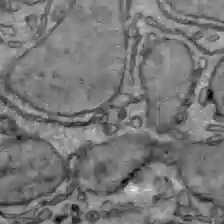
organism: C57BL Mouse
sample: Liver